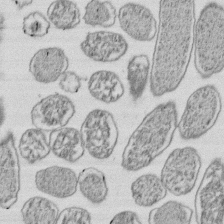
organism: E. coli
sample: Bacterial nucleoid